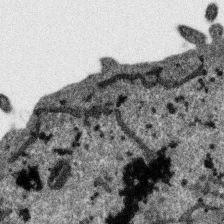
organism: Human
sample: Lung epithelial cells infected with SARS-CoV-2